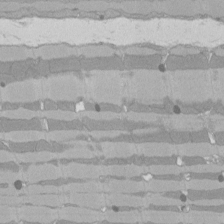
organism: Rat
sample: Left ventricle